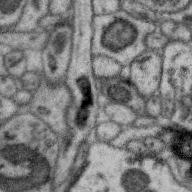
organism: Zebra finch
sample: Brain